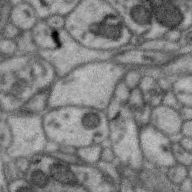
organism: Zebra finch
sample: Brain